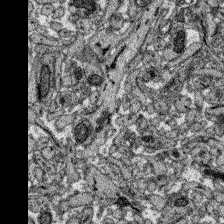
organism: Zebrafish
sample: Larval olfactory bulb